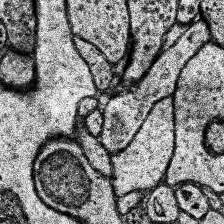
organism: Human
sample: Temporal Lobe